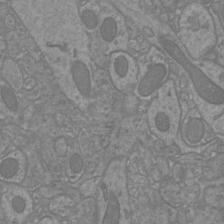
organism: Mouse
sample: Cortical neurons